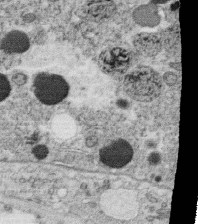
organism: C. elegans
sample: C. elegans oocyte; sperm cells